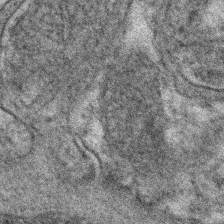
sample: Kidney